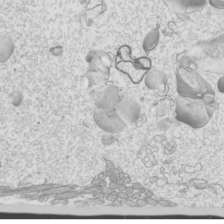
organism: Mouse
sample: Cilia; mouse epididymis